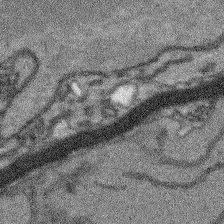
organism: Arabidopsis thaliana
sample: Root tip